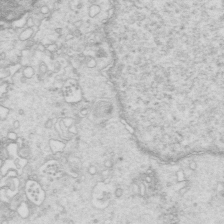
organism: Mouse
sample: Multiciliated cells